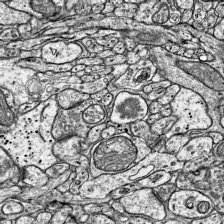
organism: Mouse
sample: Visual Cortex